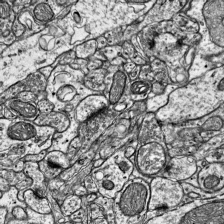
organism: Mouse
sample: Visual Cortex